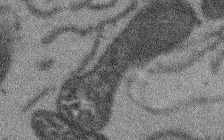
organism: Arabidopsis thaliana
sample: Root tip